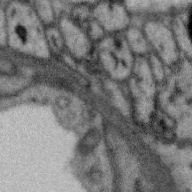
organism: Zebra finch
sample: Brain